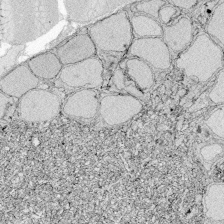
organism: Zebrafish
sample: Whole-Brain